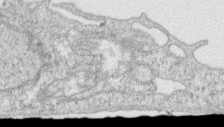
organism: Human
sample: HeLa cell HIV synapse